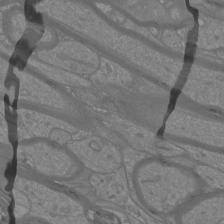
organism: Mouse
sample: Cortical neurons